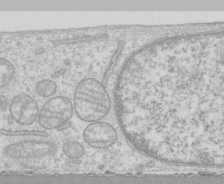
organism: Human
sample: CRL-1474